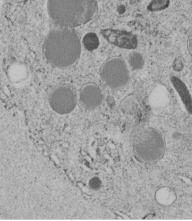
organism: C. elegans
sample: C. elegans embryo early stage